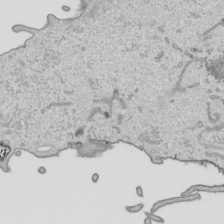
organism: Human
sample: Mitochondria in HCT116 cells